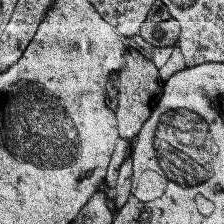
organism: Human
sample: Temporal Lobe